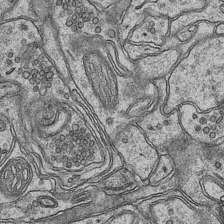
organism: Mouse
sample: CA1 Hippocampus